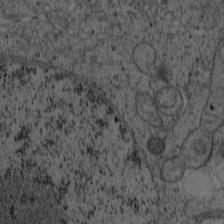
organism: African green monkey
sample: COS-7 cells